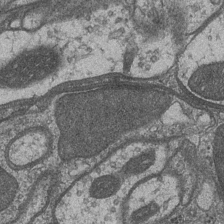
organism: Drosophila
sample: Optic medulla